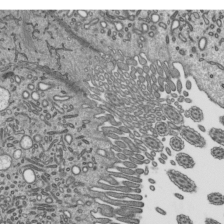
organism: Mouse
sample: Mouse epididymis efferent ductule cilia